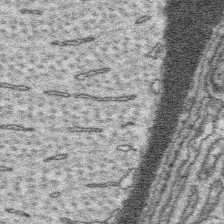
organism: Platynereis dumerilii